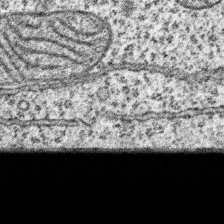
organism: Human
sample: HeLa cells